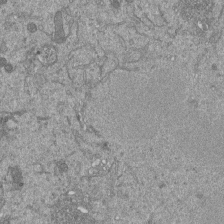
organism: Mouse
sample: ED-1 cell nuclei; centrioles